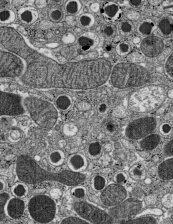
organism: C57BL Mouse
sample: Pancreatic islet